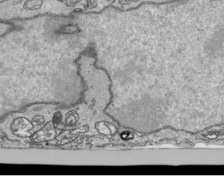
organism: Human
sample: Mitochondria in HCT116 cells